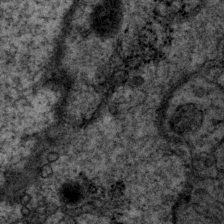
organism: P. pacificus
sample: Pharynx